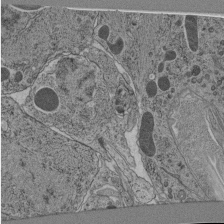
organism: C. elegans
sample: C. elegans pharynx